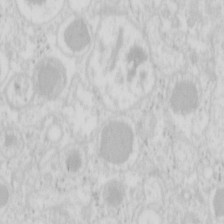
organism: Mouse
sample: Pancreas